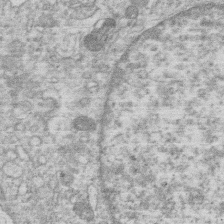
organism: Human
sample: Macrophage cells